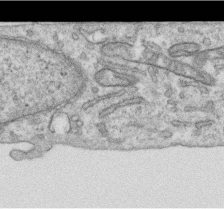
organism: Human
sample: Centriole in RPE cells